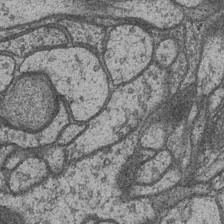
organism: Drosophila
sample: Optic medulla